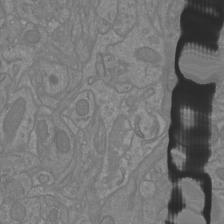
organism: Mouse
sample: Cortical neurons